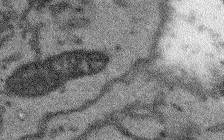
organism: Arabidopsis thaliana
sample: Root tip